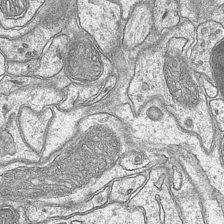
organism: Mouse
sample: CA1 Hippocampus